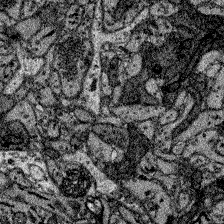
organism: Zebrafish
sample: Larval olfactory bulb